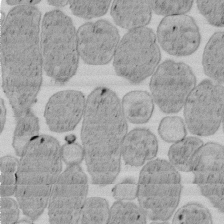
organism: E. coli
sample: Bacterial nucleoid